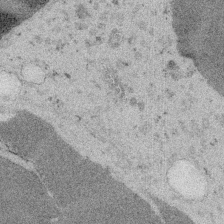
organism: Embia sp.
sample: Silk gland